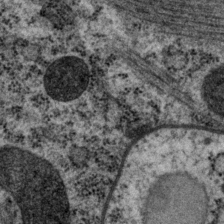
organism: P. pacificus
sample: Pharynx